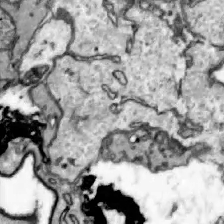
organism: Zebrafish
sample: Actinotrichia fibers